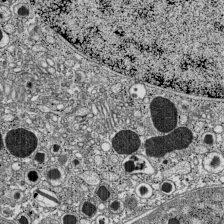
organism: C57BL Mouse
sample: Pancreatic islet